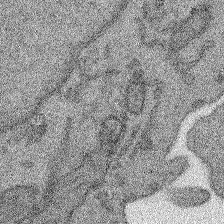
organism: Human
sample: HeLa cells